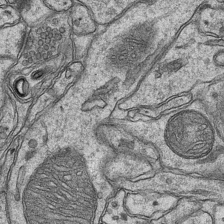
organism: Mouse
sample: CA1 Hippocampus